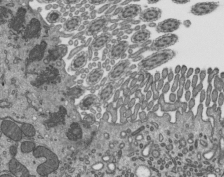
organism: Mouse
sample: Mouse epididymis efferent ductule cilia